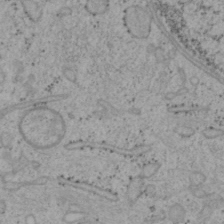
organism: Human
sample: HeLa cells